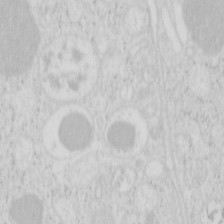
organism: Mouse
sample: Pancreas